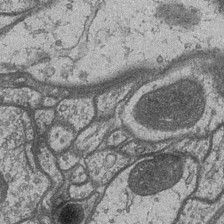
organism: Drosophila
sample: Optic medulla